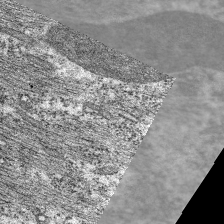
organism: C. elegans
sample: Pharynx